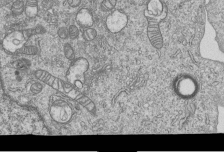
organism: Human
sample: MDA-MB-231 cells